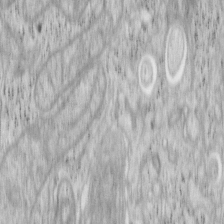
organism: Human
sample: HeLa cells